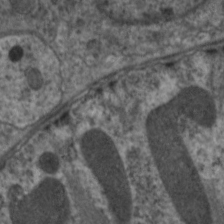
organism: C. elegans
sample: Pharynx